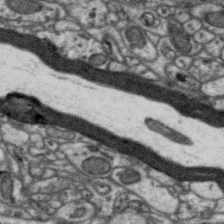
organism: Zebra finch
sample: Brain